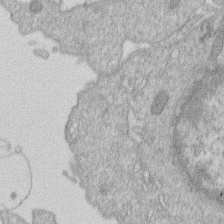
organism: Human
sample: Macrophage cells